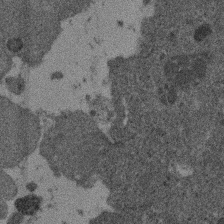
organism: Mouse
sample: Dividing mouse embryo 1 cell stage